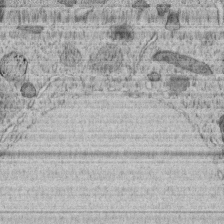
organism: C. elegans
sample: C. elegans embryo early stage